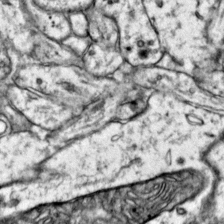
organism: Mouse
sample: Primary visual cortex